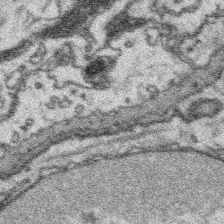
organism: Platynereis dumerilii